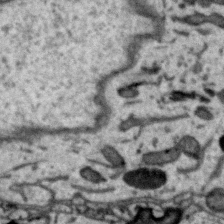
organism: Zebra finch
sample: Brain